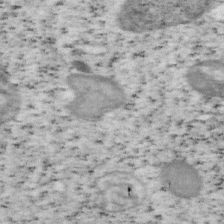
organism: Mouse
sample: OT-I killer T cells with ID8 ovarian cancer cells